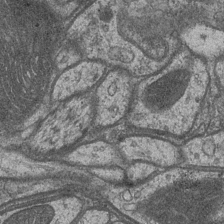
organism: Drosophila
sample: Optic medulla